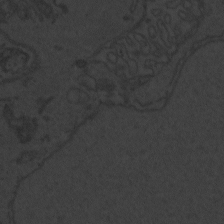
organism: Zebrafish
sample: Macrophage infected with Toxoplasma gondii